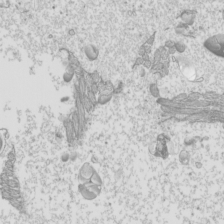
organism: Mouse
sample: Cilia; mouse epididymis